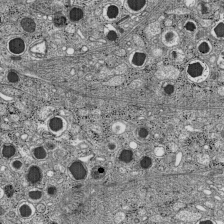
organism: C57BL Mouse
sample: Pancreatic islet